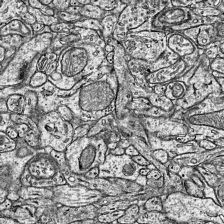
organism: Mouse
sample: Visual Cortex